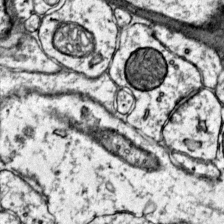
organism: Mouse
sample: Primary visual cortex